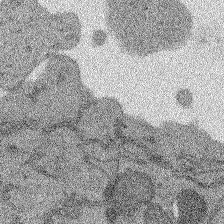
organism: Human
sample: HeLa cells